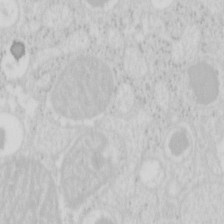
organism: Mouse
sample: Pancreas